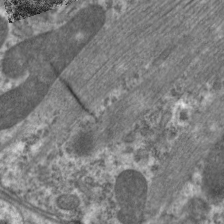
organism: C. elegans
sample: Pharynx